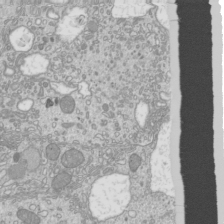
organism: Mouse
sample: Cilia; mouse epididymis